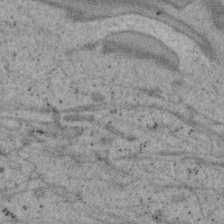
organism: Human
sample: HeLa cells